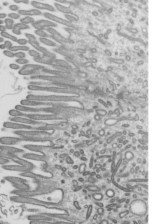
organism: Mouse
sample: Mouse epididymis efferent ductule cilia